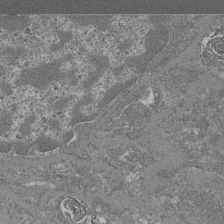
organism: Mouse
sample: Glomerulus